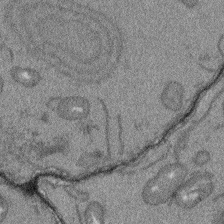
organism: Arabidopsis thaliana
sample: Root tip